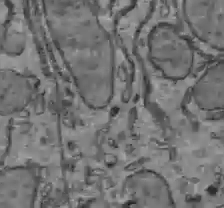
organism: C57BL Mouse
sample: Liver